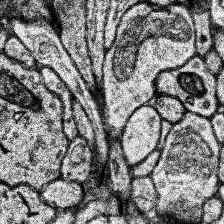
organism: Human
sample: Temporal Lobe